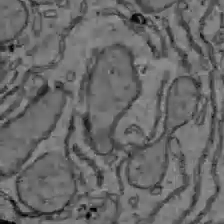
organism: C57BL Mouse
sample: Liver